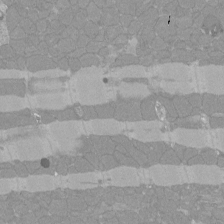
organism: Rat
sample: Left ventricle